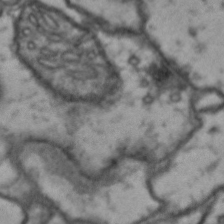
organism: Drosophila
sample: Brain